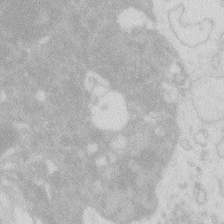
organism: Zebrafish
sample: Macrophage